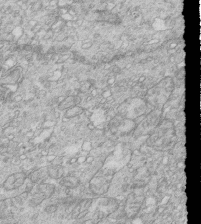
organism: Mouse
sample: Multiciliated cells